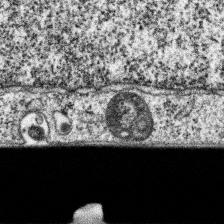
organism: Human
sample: HeLa cells